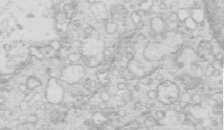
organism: Mouse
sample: Multiciliated cells